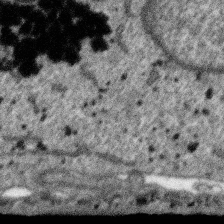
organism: Human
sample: Lung epithelial cells infected with SARS-CoV-2